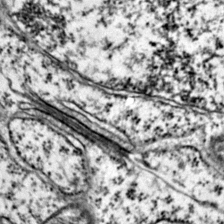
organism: Mouse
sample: Primary visual cortex